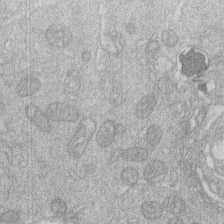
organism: Human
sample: Macrophage cells